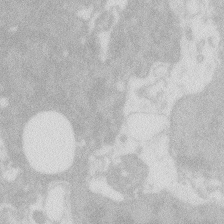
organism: Zebrafish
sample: Macrophage